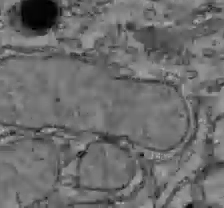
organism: C57BL Mouse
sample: Liver